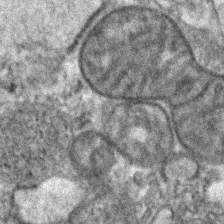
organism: Human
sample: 1205lu cells